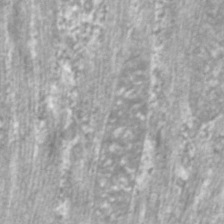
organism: C. elegans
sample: Pharynx